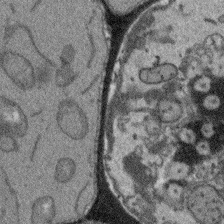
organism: Arabidopsis thaliana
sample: Root tip